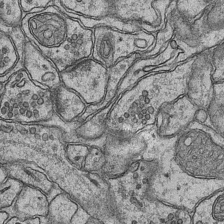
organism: Mouse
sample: CA1 Hippocampus